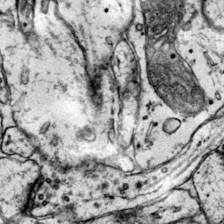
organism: Mouse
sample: Primary visual cortex